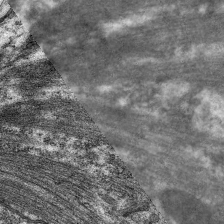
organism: C. elegans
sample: Pharynx